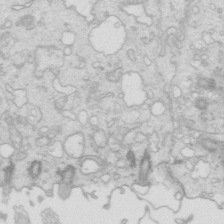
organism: Mouse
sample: Multiciliated cells